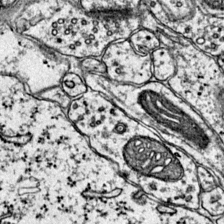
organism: Mouse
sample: Primary visual cortex